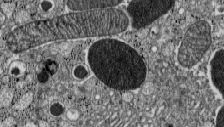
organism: C57BL Mouse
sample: Pancreatic islet